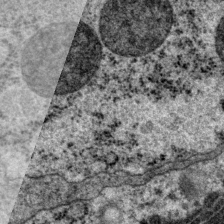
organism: P. pacificus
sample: Pharynx